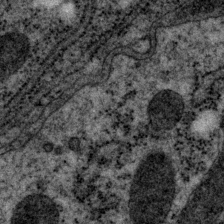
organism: P. pacificus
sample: Pharynx